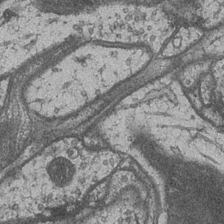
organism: Drosophila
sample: Optic medulla